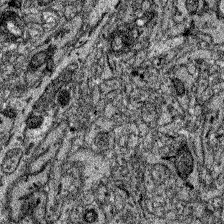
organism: Zebrafish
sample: Larval olfactory bulb